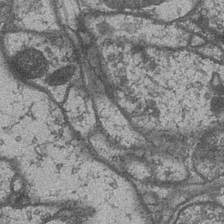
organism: Drosophila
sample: Optic medulla